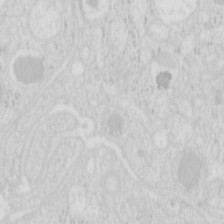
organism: Mouse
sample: Pancreas